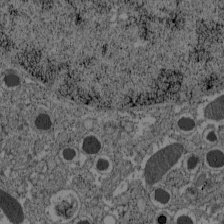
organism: C57BL Mouse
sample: Pancreatic islet